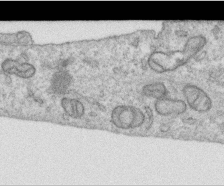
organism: Human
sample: Centriole in RPE cells